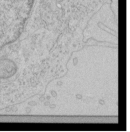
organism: Human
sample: Mitochondria in HCT116 cells